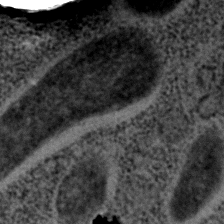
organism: C. elegans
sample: C. elegans embryo